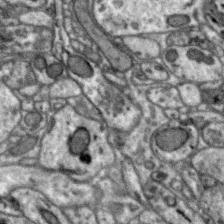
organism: Zebra finch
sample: Brain